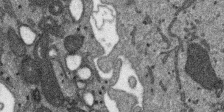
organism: Human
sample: Lung epithelial cells infected with SARS-CoV-2